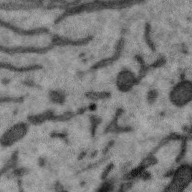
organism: Zebra finch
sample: Brain